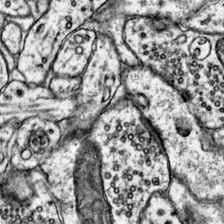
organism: Mouse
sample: Primary visual cortex